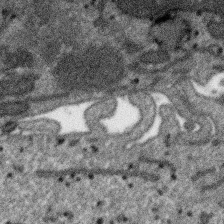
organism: Human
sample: Lung epithelial cells infected with SARS-CoV-2